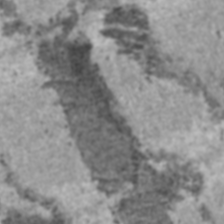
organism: C57BL Mouse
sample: Heart